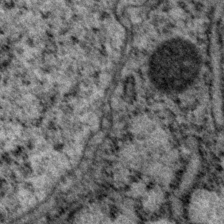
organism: P. pacificus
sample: Pharynx